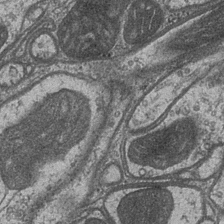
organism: Drosophila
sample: Optic medulla